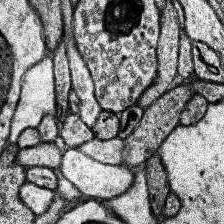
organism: Human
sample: Temporal Lobe